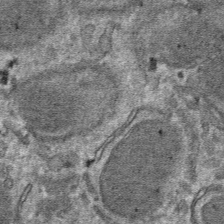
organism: Mouse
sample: Mouse hepatocytes